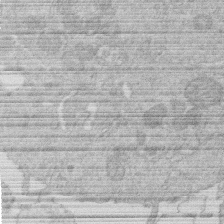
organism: Human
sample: Macrophage cells